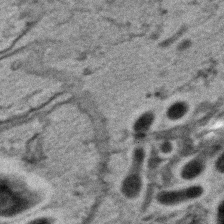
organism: C. elegans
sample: C. elegans embryo